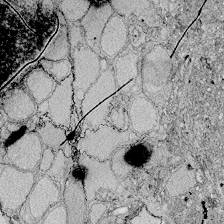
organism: Zebrafish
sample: Whole-Brain